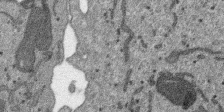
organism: Human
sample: Lung epithelial cells infected with SARS-CoV-2